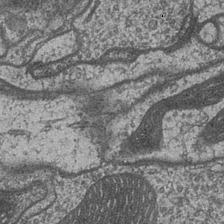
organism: Drosophila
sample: Optic medulla